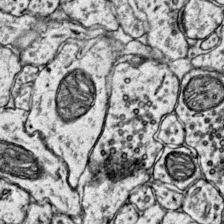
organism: Mouse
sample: Primary visual cortex